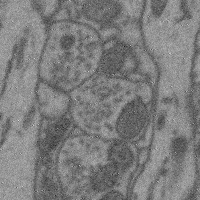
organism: Mouse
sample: Cerebral cortex